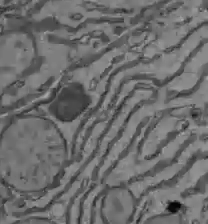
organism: C57BL Mouse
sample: Liver